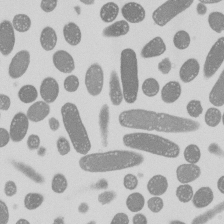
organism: E. coli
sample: Bacterial nucleoid